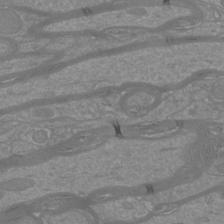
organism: Mouse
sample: Cortical neurons